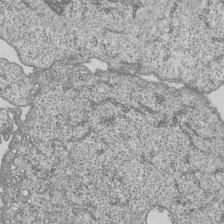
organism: Human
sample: MDA-MB-231 cells